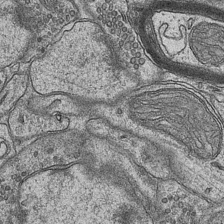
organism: Mouse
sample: CA1 Hippocampus